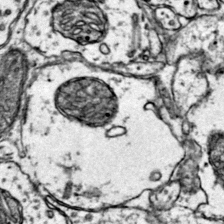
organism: Mouse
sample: Primary visual cortex